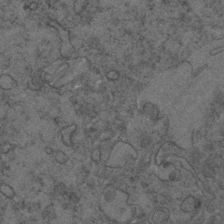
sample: Trachea